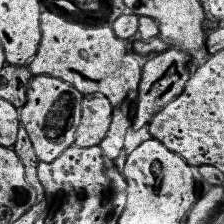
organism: Human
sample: Temporal Lobe